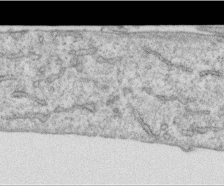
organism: Human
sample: Centriole in RPE cells